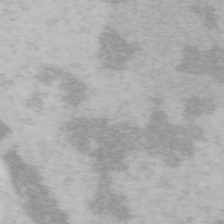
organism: Mouse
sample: OT-I killer T cells with ID8 ovarian cancer cells